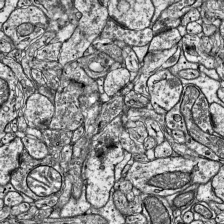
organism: Mouse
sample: Visual Cortex